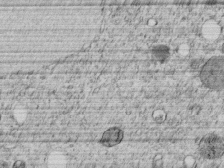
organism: C. elegans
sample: C. elegans embryo early stage